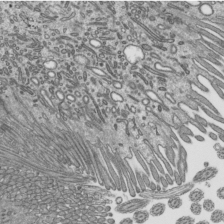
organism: Mouse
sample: Mouse epididymis efferent ductule cilia